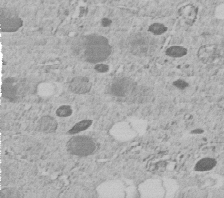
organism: C. elegans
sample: C. elegans embryo early stage